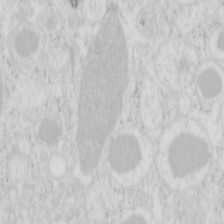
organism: Mouse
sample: Pancreas